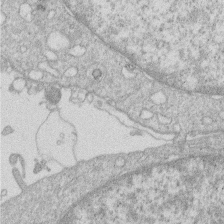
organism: Human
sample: Macrophage cells